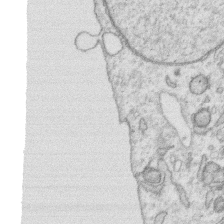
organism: Human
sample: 1205lu cells